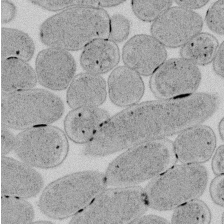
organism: E. coli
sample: Bacterial nucleoid